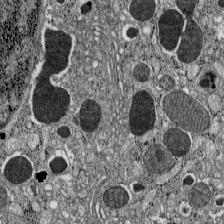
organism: C57BL Mouse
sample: Pancreatic islet